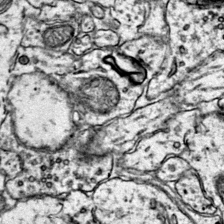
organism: Mouse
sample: Primary visual cortex